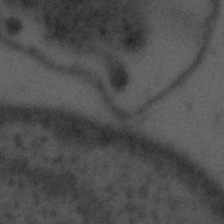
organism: Tuwongella immobilis